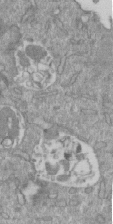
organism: Mouse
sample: ED-1 cell nuclei; centrioles